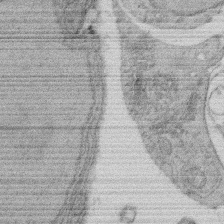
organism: Rat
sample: Salivary granule